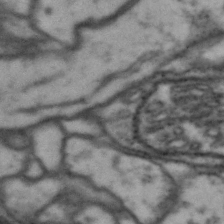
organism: Drosophila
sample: Brain